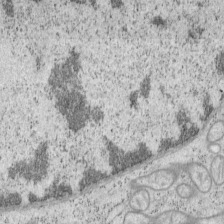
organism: Mouse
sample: OT-I killer T cells with ID8 ovarian cancer cells